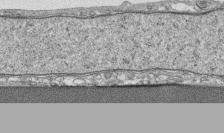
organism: Human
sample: CRL-1474